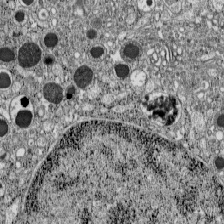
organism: C57BL Mouse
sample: Pancreatic islet